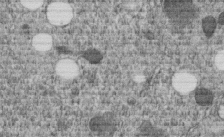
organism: C. elegans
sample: C. elegans embryo early stage